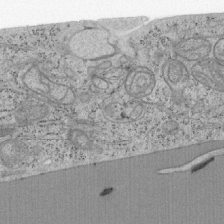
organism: Human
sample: HeLa cells